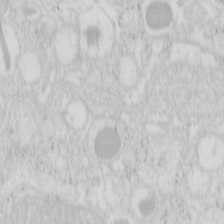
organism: Mouse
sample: Pancreas